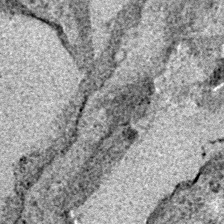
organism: E. coli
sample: E. Coli Bacteria